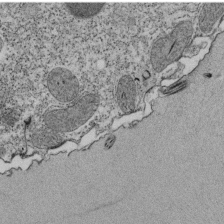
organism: Tetrahymena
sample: Cilia in tetrahymena